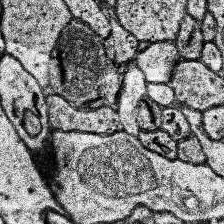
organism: Human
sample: Temporal Lobe